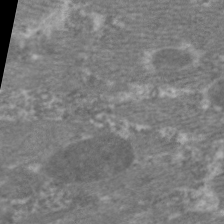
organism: C. elegans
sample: Pharynx